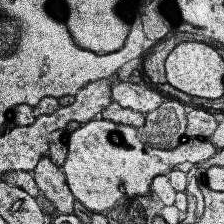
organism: Human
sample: Temporal Lobe